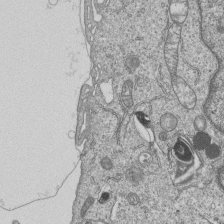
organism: Human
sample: MDA-MB-231 cells